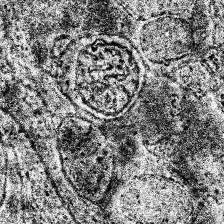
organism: Human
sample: Temporal Lobe